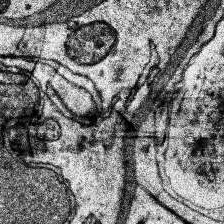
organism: Human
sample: Temporal Lobe